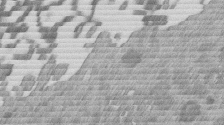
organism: Mouse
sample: Dividing mouse embryo 1 cell stage